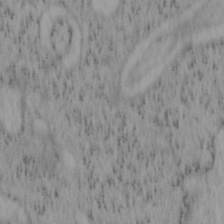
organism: Mouse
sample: OT-I killer T cells with ID8 ovarian cancer cells